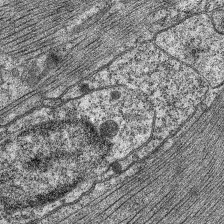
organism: C. elegans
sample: Pharynx